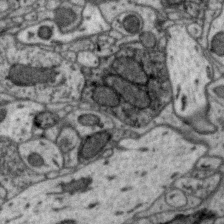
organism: Zebra finch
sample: Brain